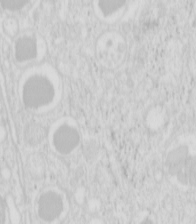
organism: Mouse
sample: Pancreas